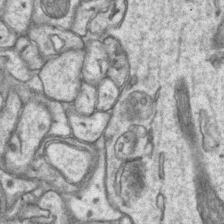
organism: Mouse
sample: CA1 Hippocampus